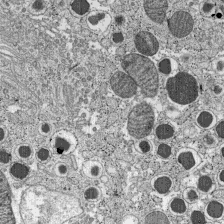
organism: C57BL Mouse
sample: Pancreatic islet